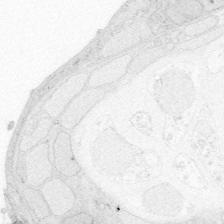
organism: Zebrafish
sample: Whole-Brain